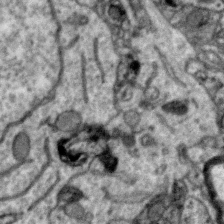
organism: Zebra finch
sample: Brain